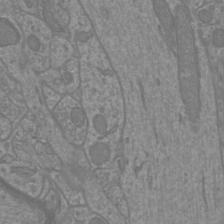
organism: Mouse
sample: Cortical neurons